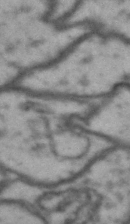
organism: Drosophila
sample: Brain